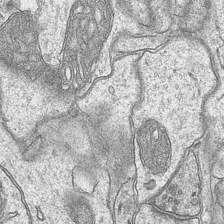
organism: Mouse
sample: CA1 Hippocampus